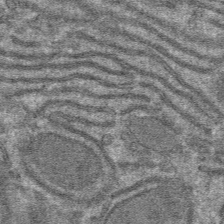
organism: Mouse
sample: Mouse hepatocytes